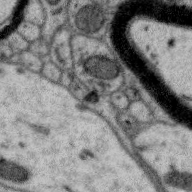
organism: Zebra finch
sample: Brain